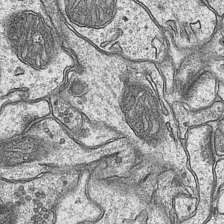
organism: Mouse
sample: CA1 Hippocampus